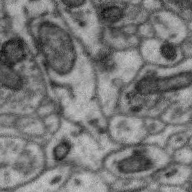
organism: Zebra finch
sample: Brain